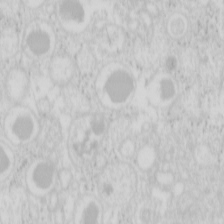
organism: Mouse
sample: Pancreas